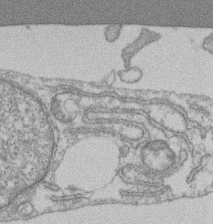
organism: Mouse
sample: T cell stromal cell synapse